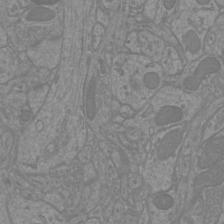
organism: Mouse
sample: Cortical neurons